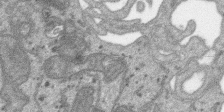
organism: Human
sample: Lung epithelial cells infected with SARS-CoV-2